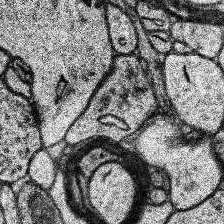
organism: Human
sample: Temporal Lobe